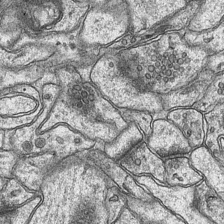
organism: Mouse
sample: CA1 Hippocampus